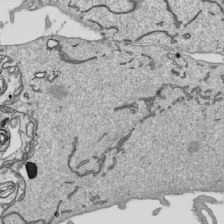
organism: Human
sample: Mitochondria in HCT116 cells